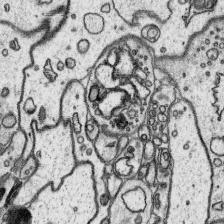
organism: Platynereis dumerilii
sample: Parapodia